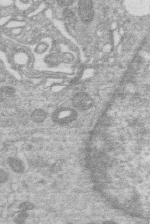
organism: Human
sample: Macrophage cells